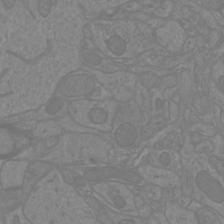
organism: Mouse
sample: Cortical neurons